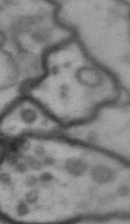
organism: Drosophila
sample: Brain